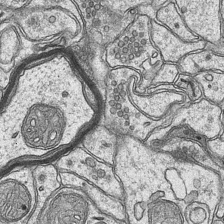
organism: Mouse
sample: CA1 Hippocampus